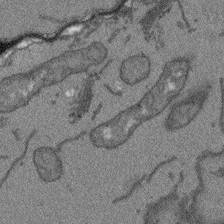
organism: Arabidopsis thaliana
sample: Root tip